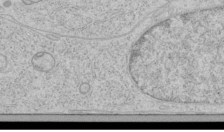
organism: Human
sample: Mitochondria in HCT116 cells